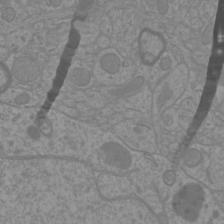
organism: Mouse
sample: Cortical neurons